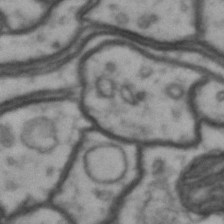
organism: Drosophila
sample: Brain